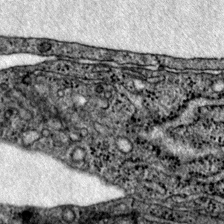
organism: Mouse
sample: Primary visual cortex